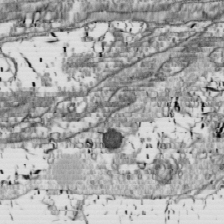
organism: Drosophila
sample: Cell division; meiosis; drosophila spermatocytes